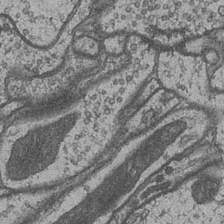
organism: Drosophila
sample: Optic medulla